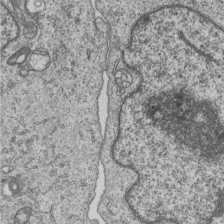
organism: Human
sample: MDA-MB-231 cells